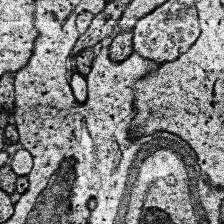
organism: Human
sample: Temporal Lobe